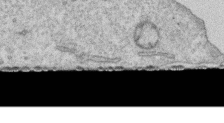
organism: Human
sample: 1205lu cells